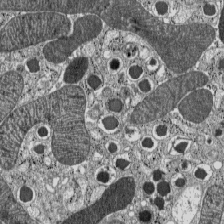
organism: C57BL Mouse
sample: Pancreatic islet